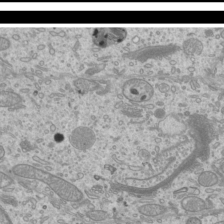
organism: Mouse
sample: Cilia; mouse epididymis